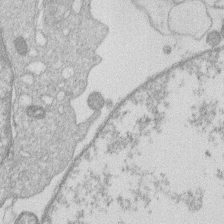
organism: Human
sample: Macrophage cells